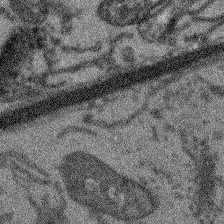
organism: Arabidopsis thaliana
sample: Root tip